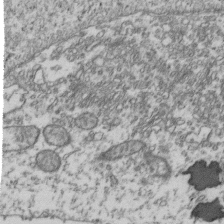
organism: Human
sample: Activated Jurkat CD4+ T cells